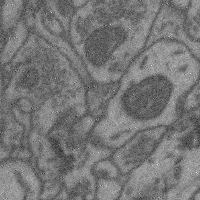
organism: Mouse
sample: Cerebral cortex